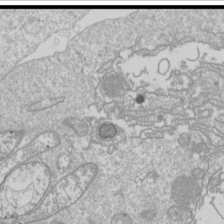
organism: Drosophila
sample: Cell division; meiosis; drosophila spermatocytes